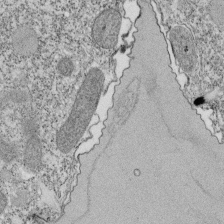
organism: Tetrahymena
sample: Cilia in tetrahymena